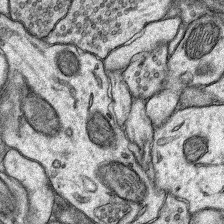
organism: Rat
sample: Hippocampus